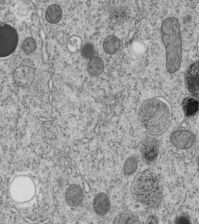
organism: C. elegans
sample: C. elegans embryo early stage